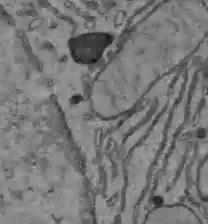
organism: C57BL Mouse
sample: Liver